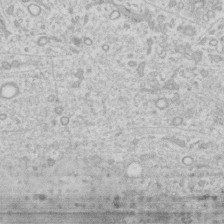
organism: Human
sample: Fibroblast cells